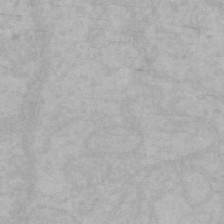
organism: Mouse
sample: Choroid plexus